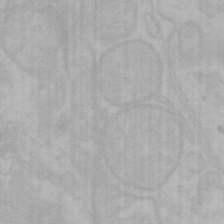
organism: Mouse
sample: Choroid plexus